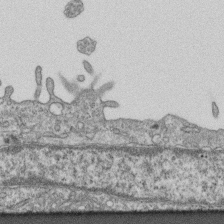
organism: Mouse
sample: Centriole in ependymal cells